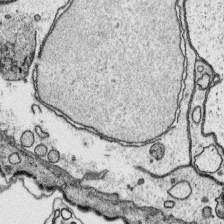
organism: Platynereis dumerilii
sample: Parapodia